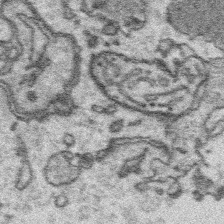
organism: Platynereis dumerilii